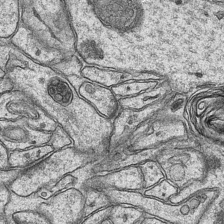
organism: Mouse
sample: CA1 Hippocampus